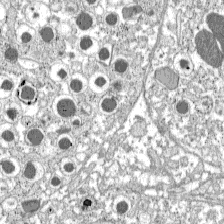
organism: C57BL Mouse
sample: Pancreatic islet